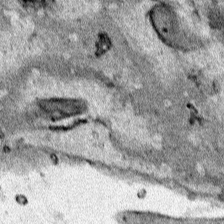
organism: Human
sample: Mitochondria in HCT116 cells